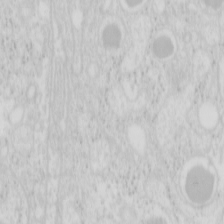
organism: Mouse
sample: Pancreas